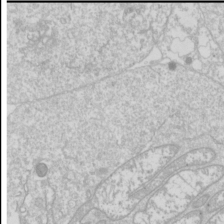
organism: Drosophila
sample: Cell division; meiosis; drosophila spermatocytes